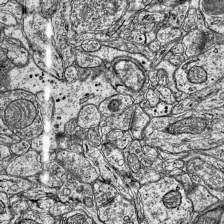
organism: Mouse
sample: Visual Cortex